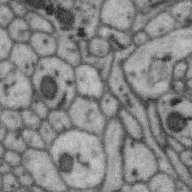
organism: Zebra finch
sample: Brain